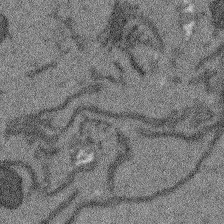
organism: Arabidopsis thaliana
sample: Root tip